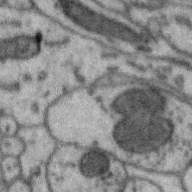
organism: Zebra finch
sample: Brain